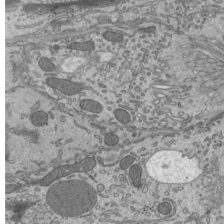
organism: Mouse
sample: Mouse epididymis efferent ductule cilia